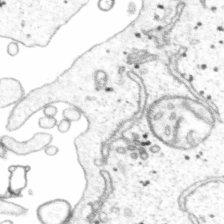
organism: Human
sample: HeLa cells